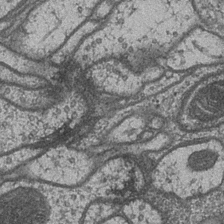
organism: Drosophila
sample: Optic medulla